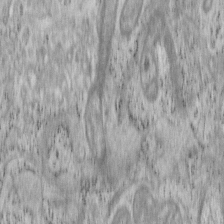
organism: Human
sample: HeLa cells